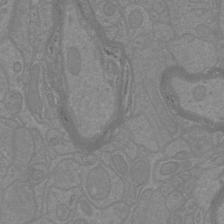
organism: Mouse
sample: Cortical neurons